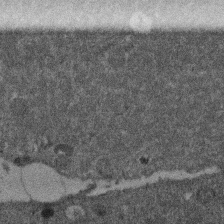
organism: Mouse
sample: Dividing mouse embryo 1 cell stage